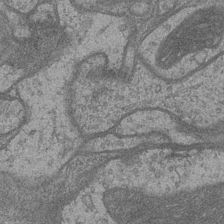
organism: Drosophila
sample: Optic medulla